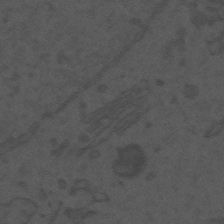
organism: Mouse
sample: Suprachiasmatic nucleus